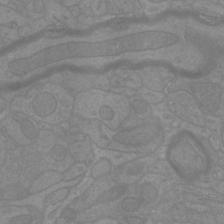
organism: Mouse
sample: Cortical neurons